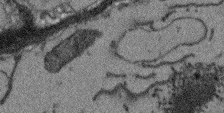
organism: Arabidopsis thaliana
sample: Root tip